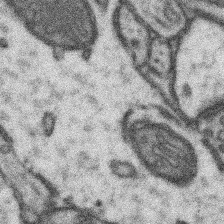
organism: Mouse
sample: Somatosensory cortex neuropil